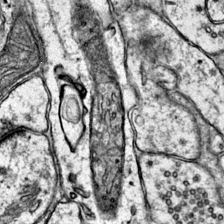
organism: Mouse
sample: Primary visual cortex